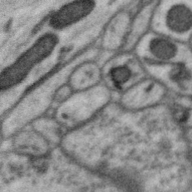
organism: Zebra finch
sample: Brain